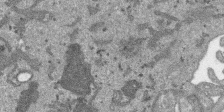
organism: Human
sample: Lung epithelial cells infected with SARS-CoV-2